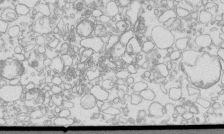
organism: Mouse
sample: Macrophages